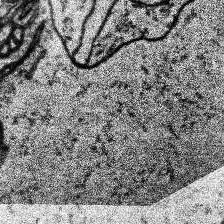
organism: Human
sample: Temporal Lobe